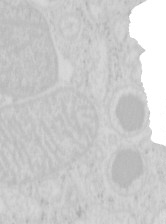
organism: Mouse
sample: Pancreas